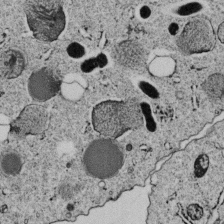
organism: C. elegans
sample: C. elegans embryo early stage